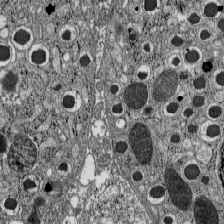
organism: C57BL Mouse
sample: Pancreatic islet